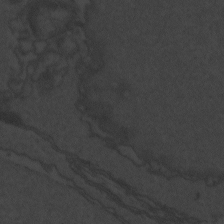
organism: Zebrafish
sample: Macrophage infected with Toxoplasma gondii